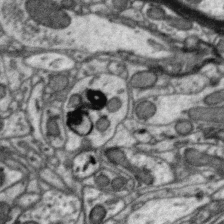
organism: Zebra finch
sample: Brain